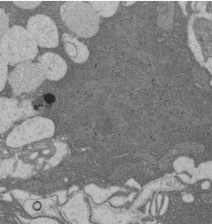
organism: Rat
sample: Salivary granule